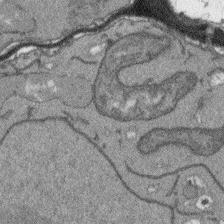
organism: Arabidopsis thaliana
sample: Root tip